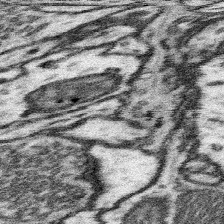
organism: Mouse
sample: Somatosensory cortex neuropil